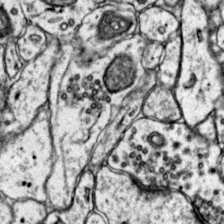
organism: Mouse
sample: Primary visual cortex